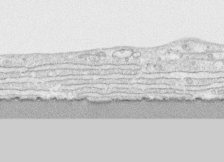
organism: Human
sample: CRL-1474